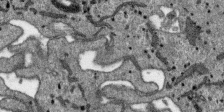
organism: Human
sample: Lung epithelial cells, uninfected (mock) control